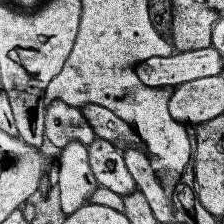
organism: Human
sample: Temporal Lobe